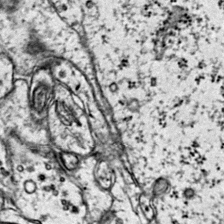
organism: Mouse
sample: Primary visual cortex